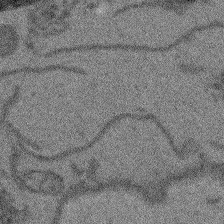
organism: Arabidopsis thaliana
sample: Root tip